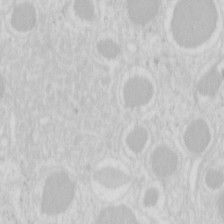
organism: Mouse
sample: Pancreas